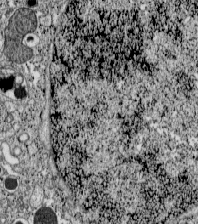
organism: C57BL Mouse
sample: Pancreatic islet